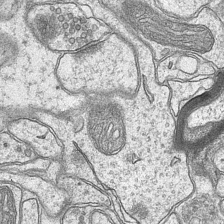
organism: Mouse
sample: CA1 Hippocampus